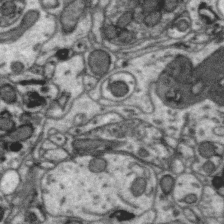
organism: Zebra finch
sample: Brain